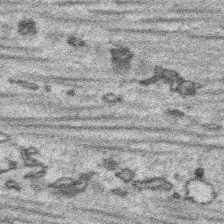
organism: Platynereis dumerilii